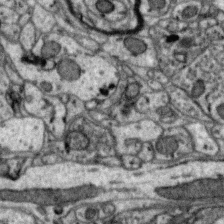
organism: Zebra finch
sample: Brain